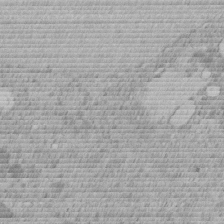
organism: C. elegans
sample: C. elegans embryo early stage